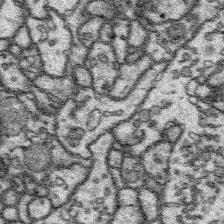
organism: Platynereis dumerilii